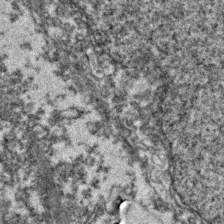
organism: Zebrafish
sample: Zebrafish embryo